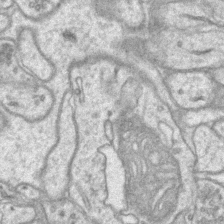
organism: Mouse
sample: CA1 Hippocampus